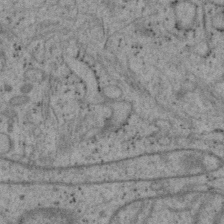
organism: Human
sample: HeLa cells